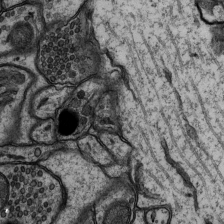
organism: Rat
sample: Hippocampus